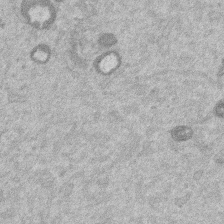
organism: Mouse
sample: Dividing mouse embryo 1 cell stage